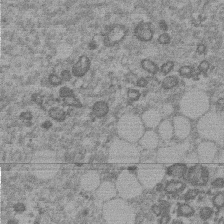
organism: Mouse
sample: Dividing mouse embryo 1 cell stage